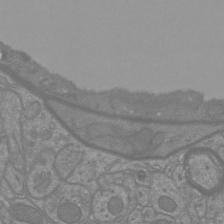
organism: Mouse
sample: Cortical neurons